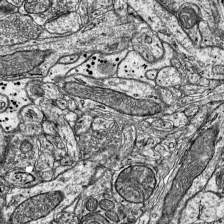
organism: Mouse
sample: Visual Cortex